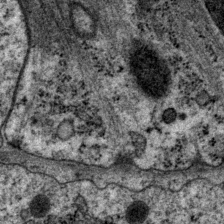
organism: P. pacificus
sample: Pharynx